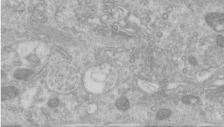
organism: Human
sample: Centriole in RPE cells